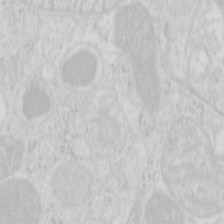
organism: Mouse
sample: Pancreas